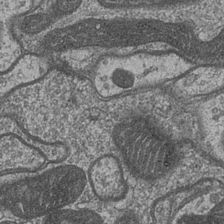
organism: Drosophila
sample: Optic medulla